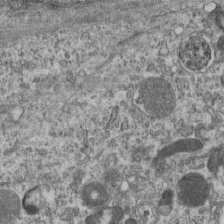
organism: Mouse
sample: Centriole in ependymal cells